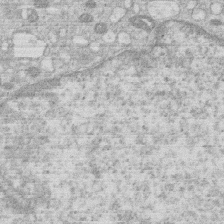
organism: Human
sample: Macrophage cells